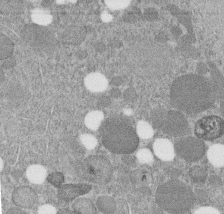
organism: C. elegans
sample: C. elegans embryo early stage